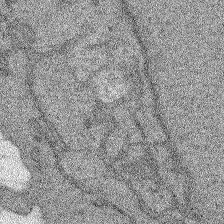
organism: Human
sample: HeLa cells